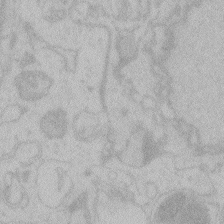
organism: Zebrafish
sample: Macrophage infected with Toxoplasma gondii